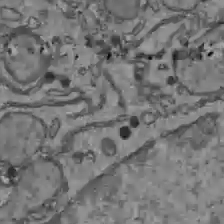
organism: C57BL Mouse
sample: Liver